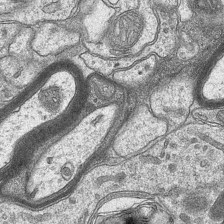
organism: Mouse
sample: CA1 Hippocampus